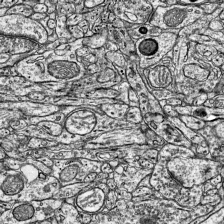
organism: Mouse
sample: Visual Cortex